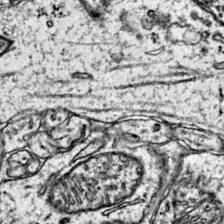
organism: Mouse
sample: Primary visual cortex